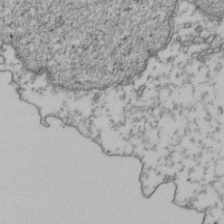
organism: Human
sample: Activated Jurkat CD4+ T cells